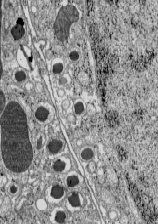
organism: C57BL Mouse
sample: Pancreatic islet